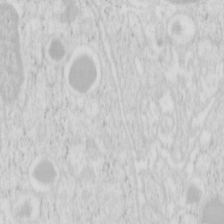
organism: Mouse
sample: Pancreas